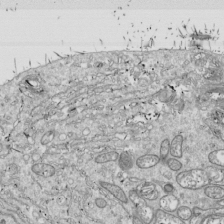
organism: Drosophila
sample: Cell division; meiosis; drosophila spermatocytes